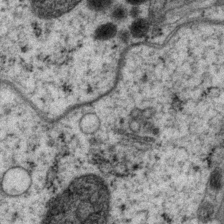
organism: P. pacificus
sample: Pharynx